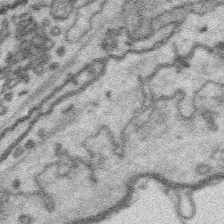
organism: Platynereis dumerilii